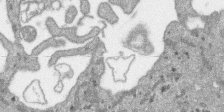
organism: Human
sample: Lung epithelial cells infected with SARS-CoV-2